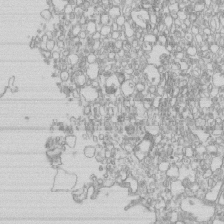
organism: Mouse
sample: Macrophages